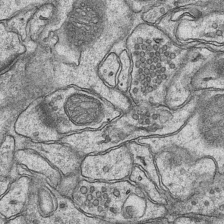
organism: Mouse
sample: CA1 Hippocampus